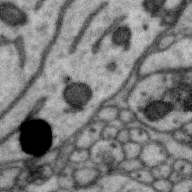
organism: Zebra finch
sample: Brain